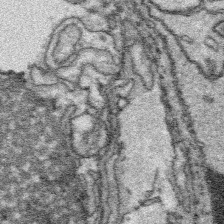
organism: Platynereis dumerilii